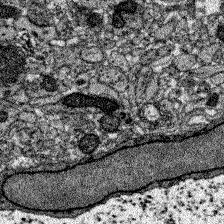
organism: Zebrafish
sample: Larval olfactory bulb